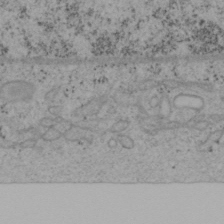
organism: Human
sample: HeLa cells